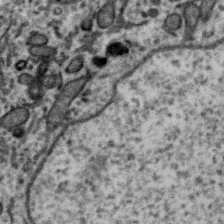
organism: Zebra finch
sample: Brain